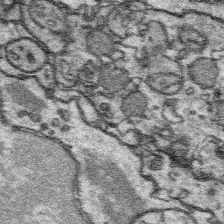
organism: Platynereis dumerilii